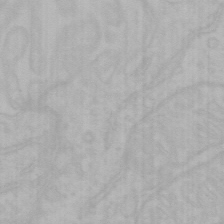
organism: Mouse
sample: Choroid plexus